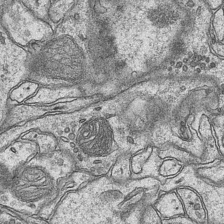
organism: Mouse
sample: CA1 Hippocampus